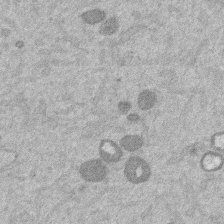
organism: Mouse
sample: Dividing mouse embryo 1 cell stage